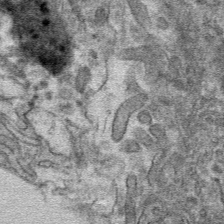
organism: Mouse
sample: Mouse hepatocytes